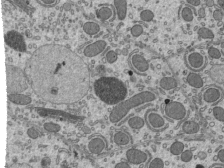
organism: Mouse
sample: Mouse epididymis efferent ductule cilia